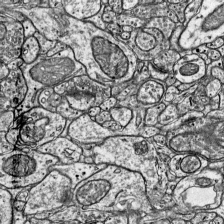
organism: Mouse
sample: Visual Cortex